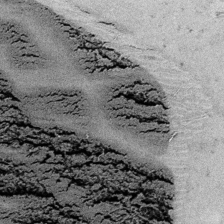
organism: Embia sp.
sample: Silk gland